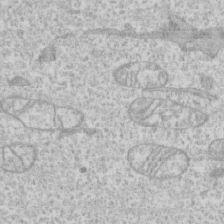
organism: Human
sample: CRL-1474